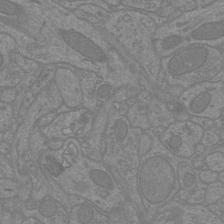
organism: Mouse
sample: Cortical neurons